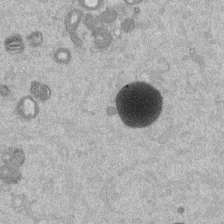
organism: Mouse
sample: Dividing mouse embryo 1 cell stage